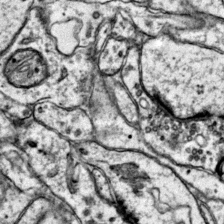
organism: Mouse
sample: Primary visual cortex